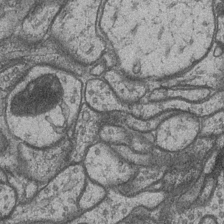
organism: Drosophila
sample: Optic medulla